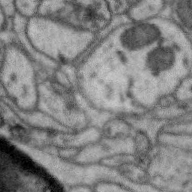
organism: Zebra finch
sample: Brain